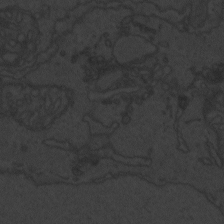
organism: Zebrafish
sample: Macrophage infected with Toxoplasma gondii